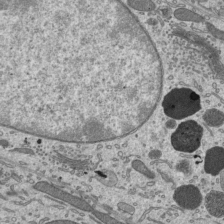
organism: Mouse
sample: Mouse epididymis efferent ductule cilia